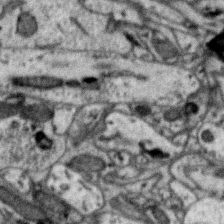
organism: Zebra finch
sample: Brain